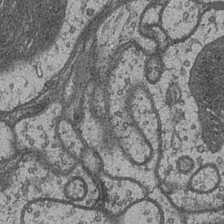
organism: Drosophila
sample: Optic medulla